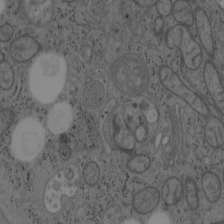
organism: Mouse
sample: OT-I killer T cells with ID8 ovarian cancer cells